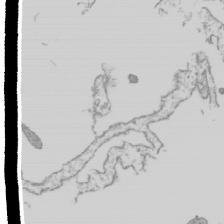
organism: Mouse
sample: Cilia; mouse epididymis